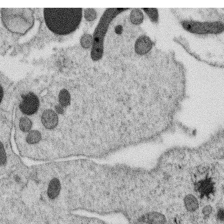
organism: C. elegans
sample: C. elegans oocyte; sperm cells